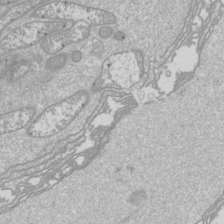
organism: Drosophila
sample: Cell division; meiosis; drosophila spermatocytes